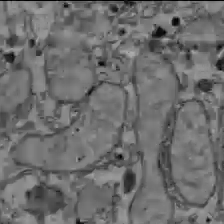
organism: C57BL Mouse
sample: Liver